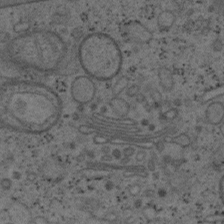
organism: Human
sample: HeLa cells